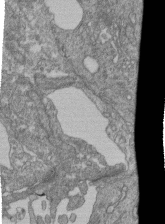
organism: Human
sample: Retinal organoid Rod and Cone cells